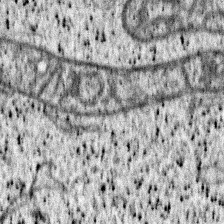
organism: Human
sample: HeLa cells